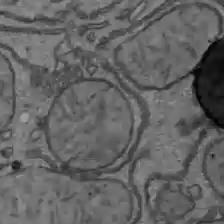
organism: C57BL Mouse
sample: Liver